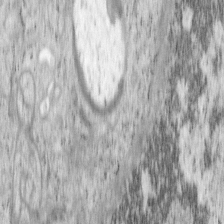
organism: Human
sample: HeLa cells